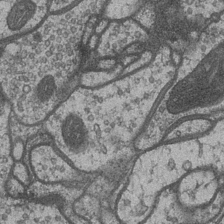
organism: Drosophila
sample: Optic medulla